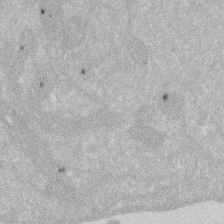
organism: Human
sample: HIV infected U937 cells